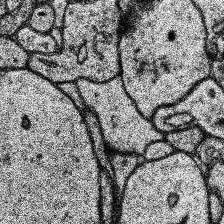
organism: Human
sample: Temporal Lobe